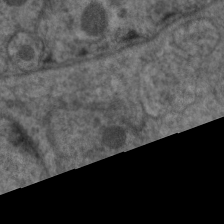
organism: C. elegans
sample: Pharynx